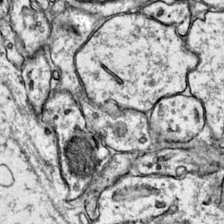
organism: Mouse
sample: Primary visual cortex